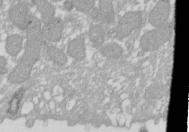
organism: Xenopus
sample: Cilia; centrioles in frog embryo cells